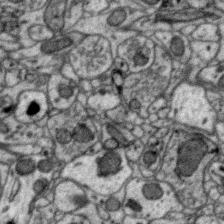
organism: Zebra finch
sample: Brain